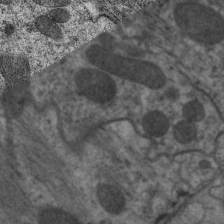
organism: C. elegans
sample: Pharynx